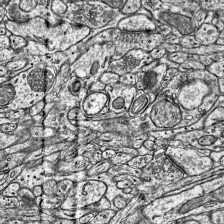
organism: Mouse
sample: Visual Cortex